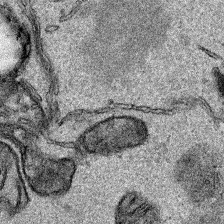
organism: Human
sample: Mitochondria in HCT116 cells